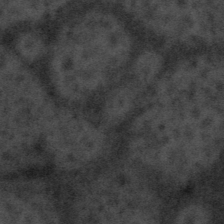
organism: Tuwongella immobilis